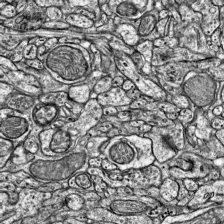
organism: Mouse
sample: Visual Cortex